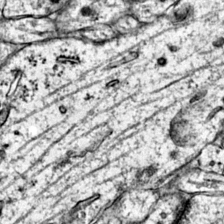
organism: Mouse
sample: Primary visual cortex